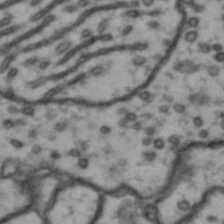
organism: Drosophila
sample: Brain